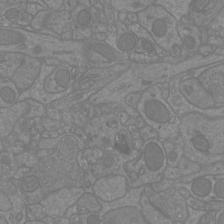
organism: Mouse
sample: Cortical neurons